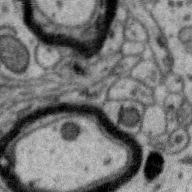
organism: Zebra finch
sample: Brain